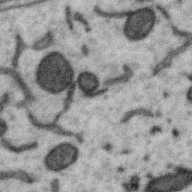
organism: Zebra finch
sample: Brain